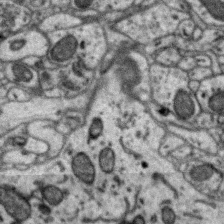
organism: Zebra finch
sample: Brain